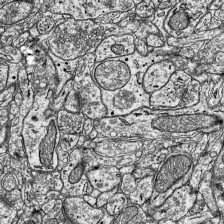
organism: Mouse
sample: Visual Cortex